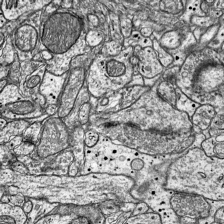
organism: Mouse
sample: Visual Cortex